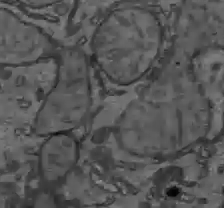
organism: C57BL Mouse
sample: Liver